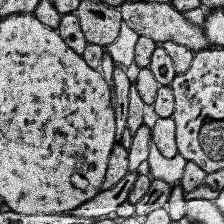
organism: Human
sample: Temporal Lobe